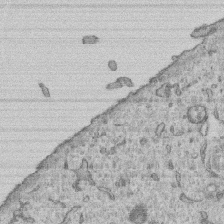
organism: Human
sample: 1205lu cells